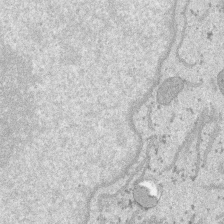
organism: Human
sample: Lung epithelial cells infected with SARS-CoV-2